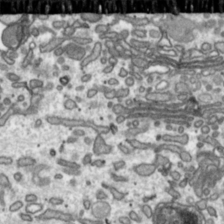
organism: Toxoplasma gondii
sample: Parasites in a vacuole inside a host cell